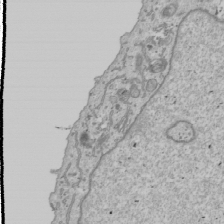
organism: Human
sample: Mitochondria in U2OS cells